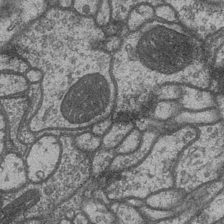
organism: Drosophila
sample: Optic medulla